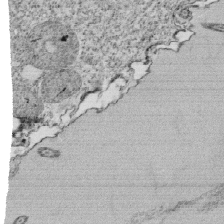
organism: Tetrahymena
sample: Cilia in tetrahymena